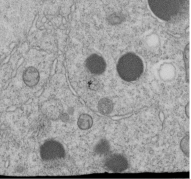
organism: C. elegans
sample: C. elegans embryo early stage